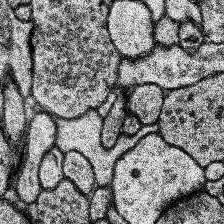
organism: Human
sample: Temporal Lobe